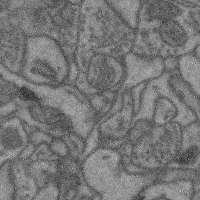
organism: Mouse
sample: Cerebral cortex